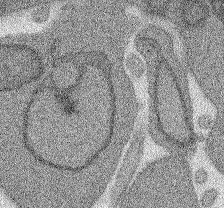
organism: Human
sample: HeLa cells